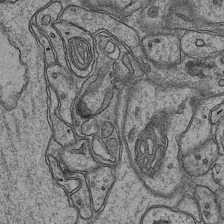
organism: Mouse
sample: CA1 Hippocampus